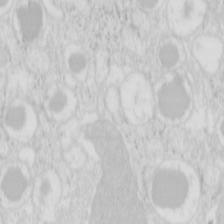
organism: Mouse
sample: Pancreas